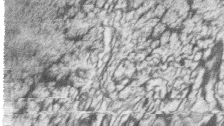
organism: Zebrafish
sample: synaptic ribbons in rod cells and cone cells